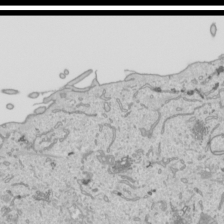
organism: Human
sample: Mitochondria in HCT116 cells